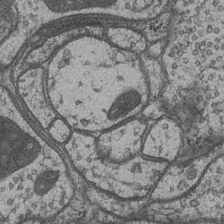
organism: Drosophila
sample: Optic medulla